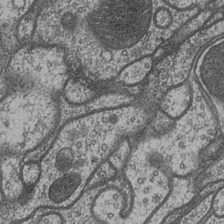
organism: Drosophila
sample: Optic medulla